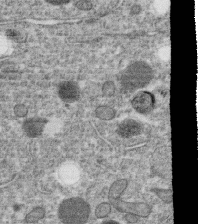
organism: C. elegans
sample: C. elegans oocyte; sperm cells